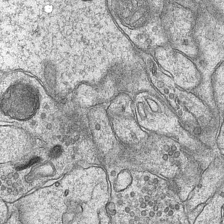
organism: Mouse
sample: CA1 Hippocampus